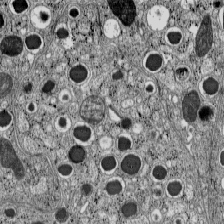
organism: C57BL Mouse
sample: Pancreatic islet